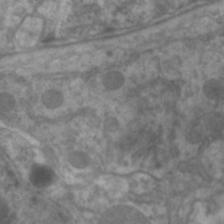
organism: C. elegans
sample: Pharynx